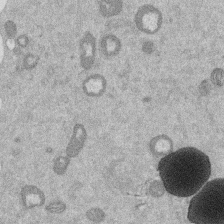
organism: Mouse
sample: Dividing mouse embryo 1 cell stage